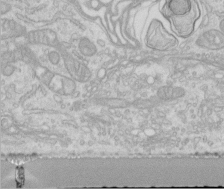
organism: Human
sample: Centriole in RPE cells